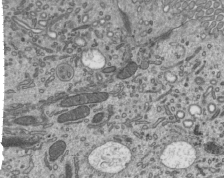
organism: Mouse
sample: Mouse epididymis efferent ductule cilia